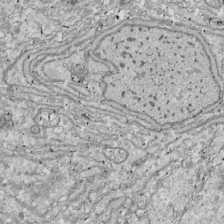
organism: Drosophila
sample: Cell division; meiosis; drosophila spermatocytes